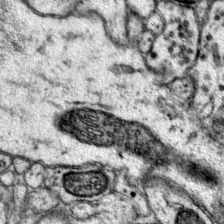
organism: Mouse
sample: Primary visual cortex